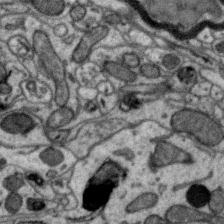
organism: Zebra finch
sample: Brain